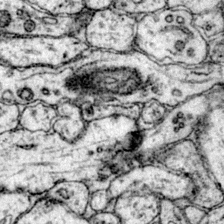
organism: Mouse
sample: Primary visual cortex